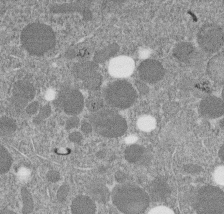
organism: C. elegans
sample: C. elegans embryo early stage